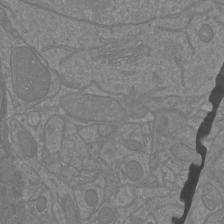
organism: Mouse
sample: Cortical neurons